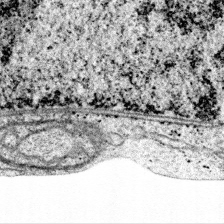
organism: Human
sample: HeLa cells